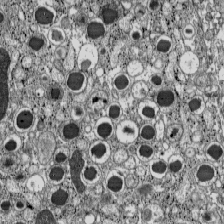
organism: C57BL Mouse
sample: Pancreatic islet